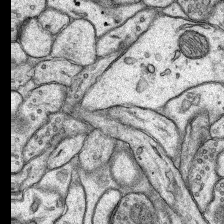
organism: Rat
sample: Hippocampus